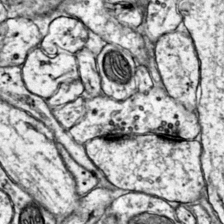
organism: Mouse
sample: Primary visual cortex